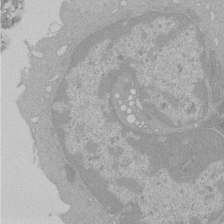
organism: Mouse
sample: Activated Pmel transgenic CD8+ T Cells